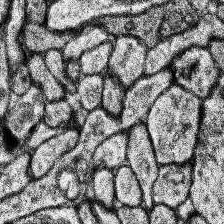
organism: Human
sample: Temporal Lobe